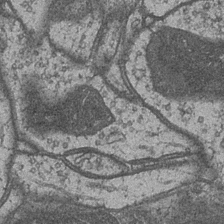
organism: Drosophila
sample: Optic medulla